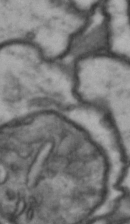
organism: Drosophila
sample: Brain